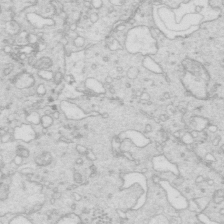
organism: Mouse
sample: Multiciliated cells